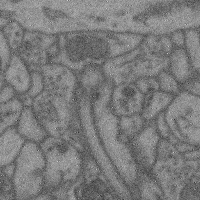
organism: Mouse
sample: Cerebral cortex